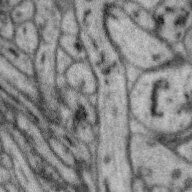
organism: Zebra finch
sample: Brain